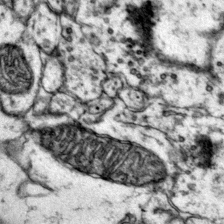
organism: Mouse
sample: Primary visual cortex